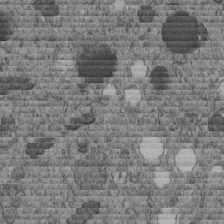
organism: C. elegans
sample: C. elegans embryo early stage